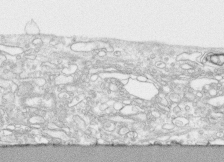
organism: Human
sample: CRL-1474